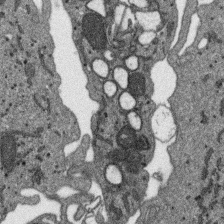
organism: Human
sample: Lung epithelial cells infected with SARS-CoV-2